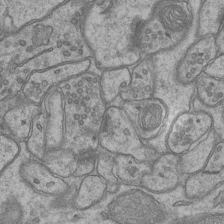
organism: Mouse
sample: CA1 Hippocampus